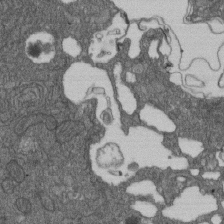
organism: Drosophila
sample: Nephrocyte